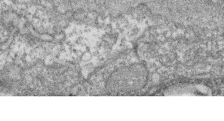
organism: Zebrafish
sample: Cilia; retinal pigment epithelium